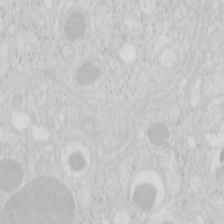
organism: Mouse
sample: Pancreas